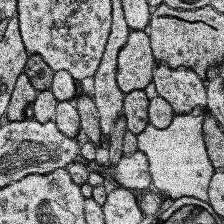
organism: Human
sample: Temporal Lobe